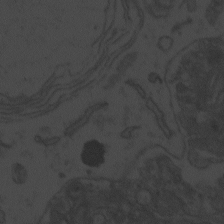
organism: Zebrafish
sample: Macrophage infected with Toxoplasma gondii